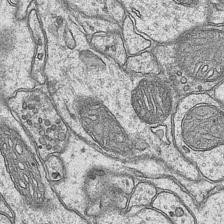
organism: Mouse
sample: CA1 Hippocampus